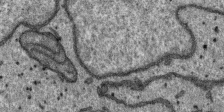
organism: Human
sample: Lung epithelial cells, uninfected (mock) control